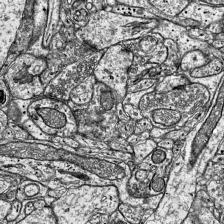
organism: Mouse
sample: Visual Cortex